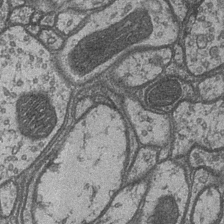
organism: Drosophila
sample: Optic medulla